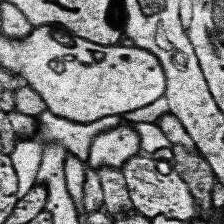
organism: Human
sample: Temporal Lobe